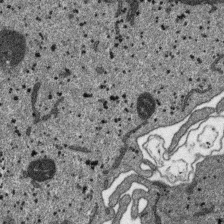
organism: Human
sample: Lung epithelial cells infected with SARS-CoV-2